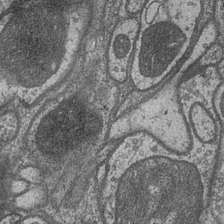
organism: Drosophila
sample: Optic medulla